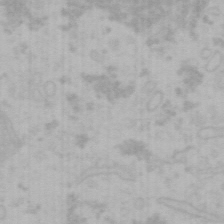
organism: Mouse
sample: Choroid plexus